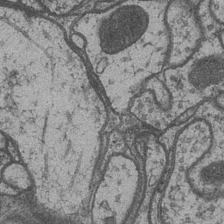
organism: Drosophila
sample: Optic medulla